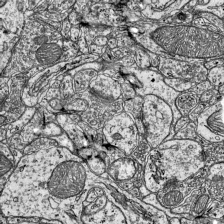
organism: Mouse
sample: Visual Cortex